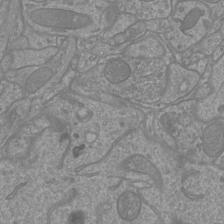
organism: Mouse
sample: Cortical neurons